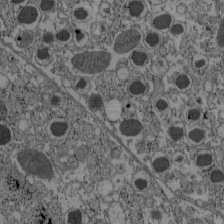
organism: C57BL Mouse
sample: Pancreatic islet